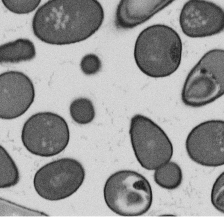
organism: B. subtilis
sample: Bacterial spore